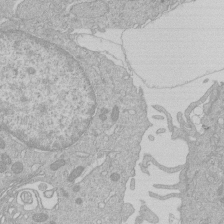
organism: Human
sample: Macrophage cells